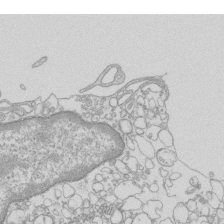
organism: Mouse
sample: Macrophages